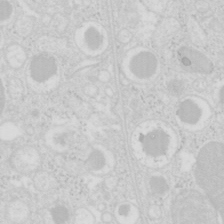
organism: Mouse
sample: Pancreas